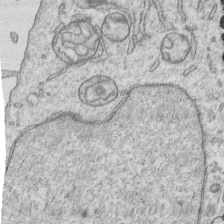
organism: Human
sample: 1205lu cells